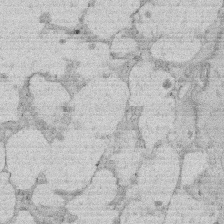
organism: Rat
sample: Salivary granule